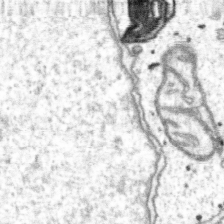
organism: Human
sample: HeLa cells